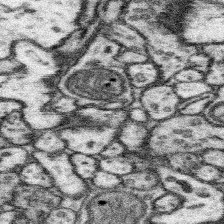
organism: Mouse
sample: Somatosensory cortex neuropil